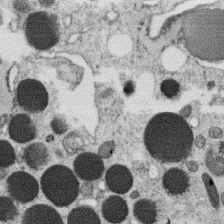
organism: C. elegans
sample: C. elegans oocyte; sperm cells